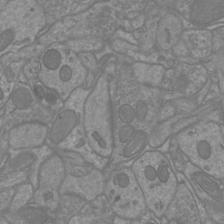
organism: Mouse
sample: Cortical neurons